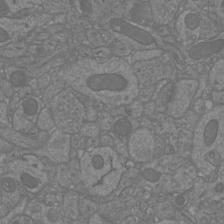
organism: Mouse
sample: Cortical neurons